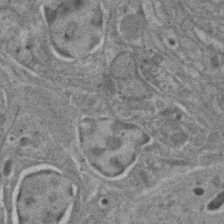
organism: C. elegans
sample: C. elegans embryo